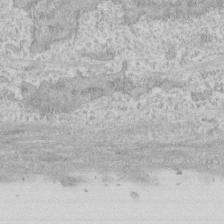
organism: Human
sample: CRL-1474